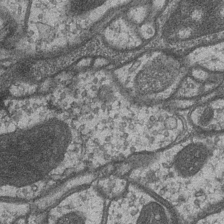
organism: Drosophila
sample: Optic medulla